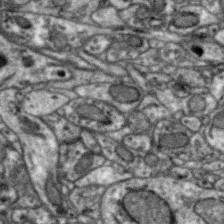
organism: Zebra finch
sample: Brain